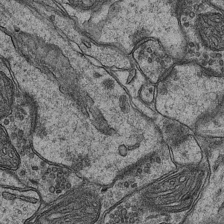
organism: Mouse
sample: CA1 Hippocampus